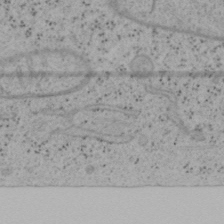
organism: Human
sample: HeLa cells